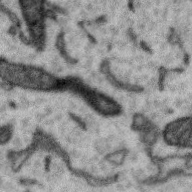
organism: Zebra finch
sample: Brain